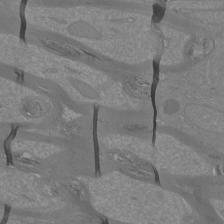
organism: Mouse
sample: Cortical neurons